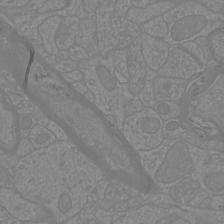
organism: Mouse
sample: Cortical neurons